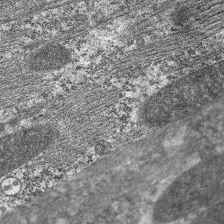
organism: C. elegans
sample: Pharynx